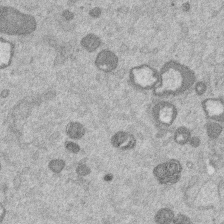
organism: Mouse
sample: Dividing mouse embryo 1 cell stage